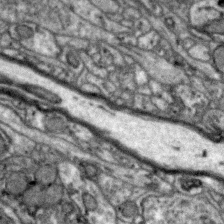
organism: Zebra finch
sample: Brain